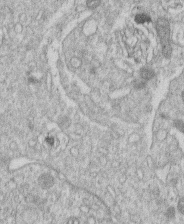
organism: Human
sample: Macrophage cells